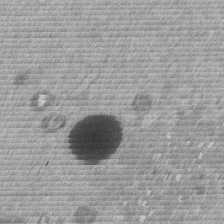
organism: Mouse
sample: Dividing mouse embryo 1 cell stage